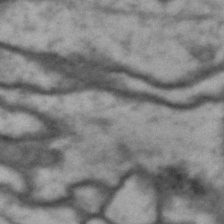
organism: Drosophila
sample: Brain